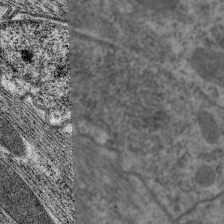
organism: C. elegans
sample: Pharynx